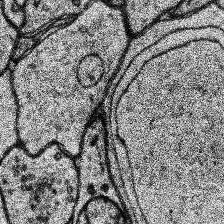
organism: Human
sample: Temporal Lobe